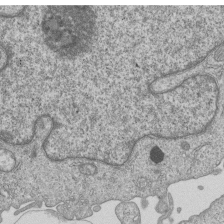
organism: Human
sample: MDA-MB-231 cells